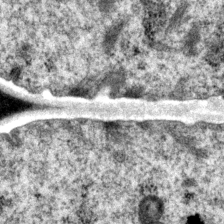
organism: P. pacificus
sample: Pharynx